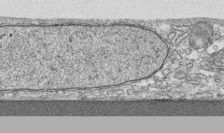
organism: Human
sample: CRL-1474